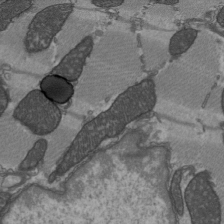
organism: C57BL Mouse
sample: Heart